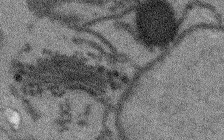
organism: Arabidopsis thaliana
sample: Root tip